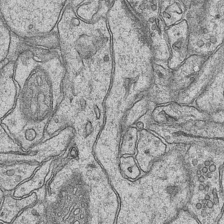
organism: Mouse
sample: CA1 Hippocampus